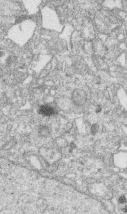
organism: Human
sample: HeLa cell HIV synapse